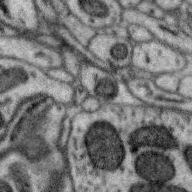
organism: Zebra finch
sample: Brain